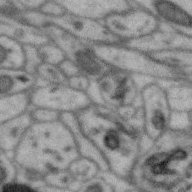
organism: Zebra finch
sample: Brain